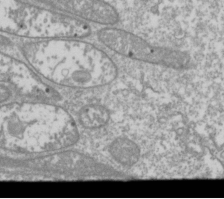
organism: Drosophila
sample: Cell division; meiosis; drosophila spermatocytes